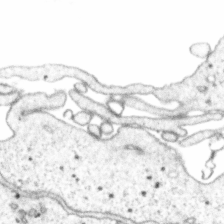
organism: Human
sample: HeLa cells